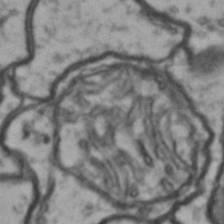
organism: Drosophila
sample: Brain